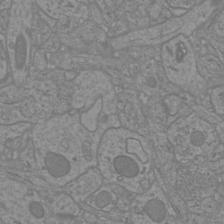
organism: Mouse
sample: Cortical neurons